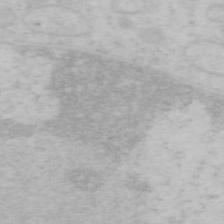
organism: Mouse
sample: OT-I killer T cells with ID8 ovarian cancer cells